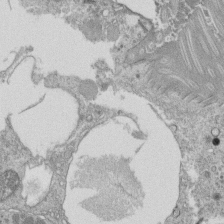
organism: Tetrahymena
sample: Cilia in tetrahymena